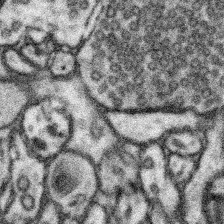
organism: Mouse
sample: Somatosensory cortex neuropil